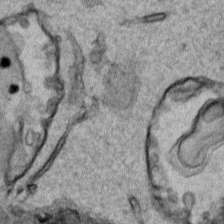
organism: Human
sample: Mitochondria in HCT116 cells